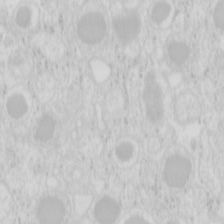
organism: Mouse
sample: Pancreas